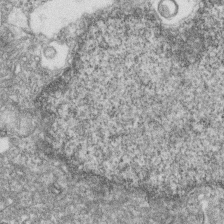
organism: Zebrafish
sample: Cilia; retinal pigment epithelium